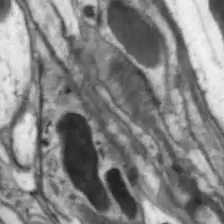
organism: Drosophila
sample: Optic lobe